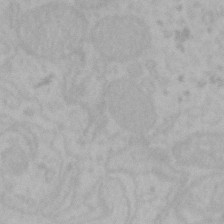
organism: Mouse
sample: Choroid plexus